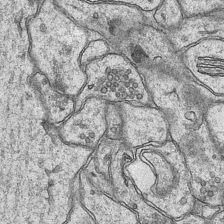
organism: Mouse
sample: CA1 Hippocampus